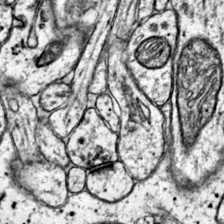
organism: Mouse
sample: Primary visual cortex